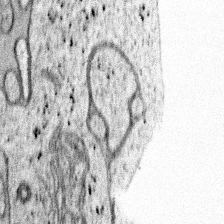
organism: Human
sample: HeLa cells